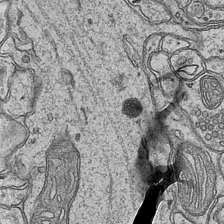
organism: Mouse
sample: CA1 Hippocampus